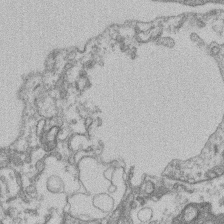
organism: Mouse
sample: T cell stromal cell synapse